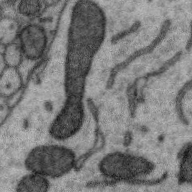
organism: Zebra finch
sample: Brain